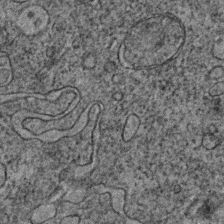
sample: Trachea